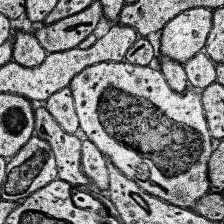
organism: Human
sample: Temporal Lobe